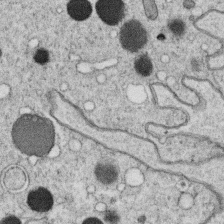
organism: C. elegans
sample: C. elegans oocyte; sperm cells